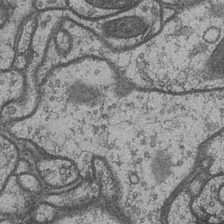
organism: Drosophila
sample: Optic medulla